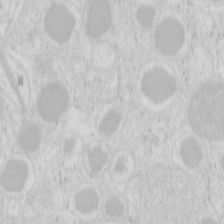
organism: Mouse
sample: Pancreas